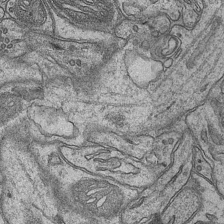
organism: Mouse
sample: CA1 Hippocampus